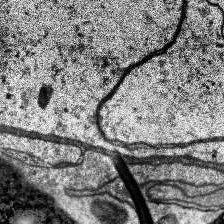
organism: Human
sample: Temporal Lobe